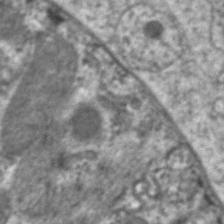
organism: C. elegans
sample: Pharynx